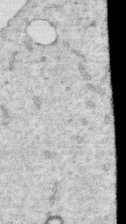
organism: Human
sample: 1205lu cells